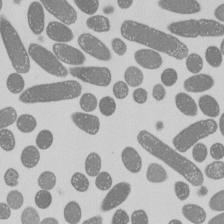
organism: E. coli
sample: Bacterial nucleoid